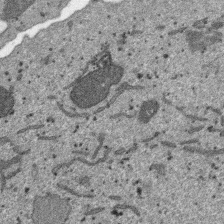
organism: Human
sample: Lung epithelial cells infected with SARS-CoV-2